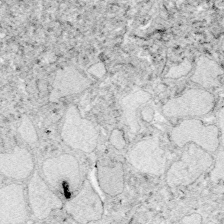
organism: Zebrafish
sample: Whole-Brain